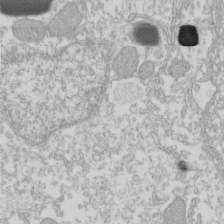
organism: Xenopus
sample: Cilia; centrioles in frog embryo cells